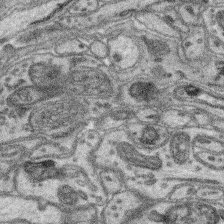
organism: Mouse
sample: Retina